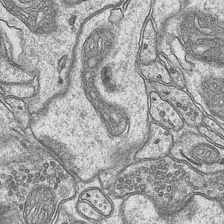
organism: Mouse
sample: CA1 Hippocampus